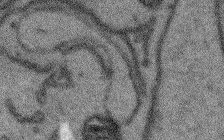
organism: Arabidopsis thaliana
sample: Root tip